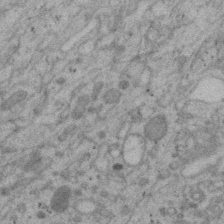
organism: Human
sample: HeLa cells